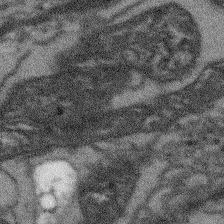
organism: Arabidopsis thaliana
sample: Root tip